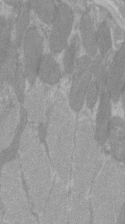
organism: C57BL Mouse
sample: Tibialis anterior muscle cell